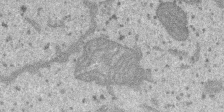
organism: Human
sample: Lung epithelial cells infected with SARS-CoV-2